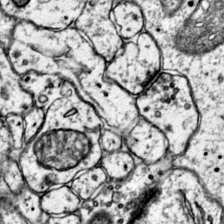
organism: Mouse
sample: Primary visual cortex